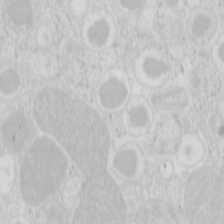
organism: Mouse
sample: Pancreas